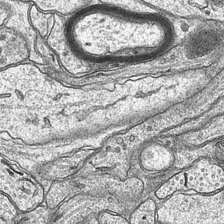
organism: Mouse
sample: CA1 Hippocampus